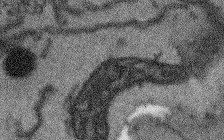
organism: Arabidopsis thaliana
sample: Root tip